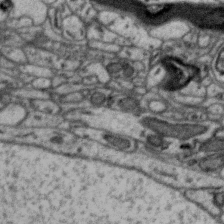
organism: Zebra finch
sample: Brain